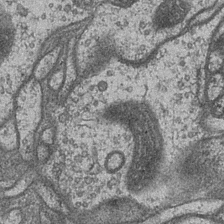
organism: Drosophila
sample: Optic medulla